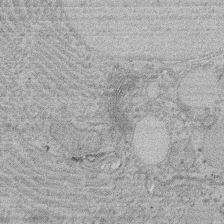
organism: Rat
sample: Salivary granule